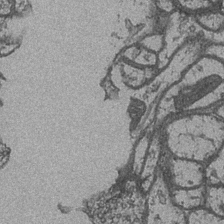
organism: Drosophila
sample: Optic medulla